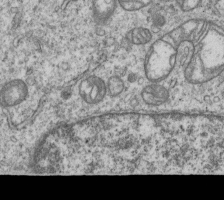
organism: Human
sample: MDA-MB-231 cells